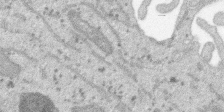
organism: Human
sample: Lung epithelial cells infected with SARS-CoV-2